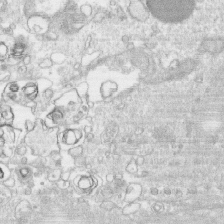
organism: Human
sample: CRL-1474